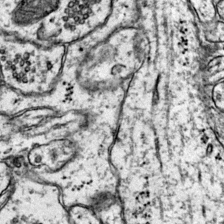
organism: Mouse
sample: Primary visual cortex